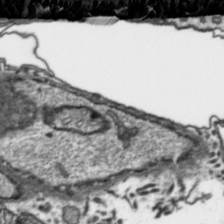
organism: Toxoplasma gondii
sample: Parasites in a vacuole inside a host cell